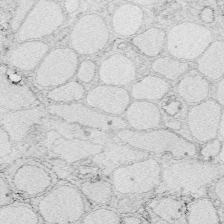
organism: Zebrafish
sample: Whole-Brain